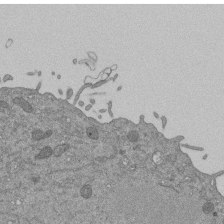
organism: Mouse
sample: ED-1 cell nuclei; centrioles